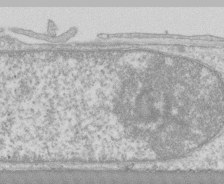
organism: Human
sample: CRL-1474